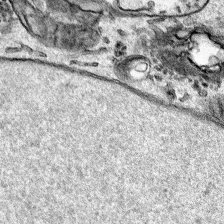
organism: Human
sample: Mitochondria in HCT116 cells